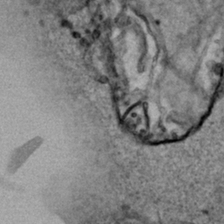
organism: Human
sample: Mitochondria in HCT116 cells